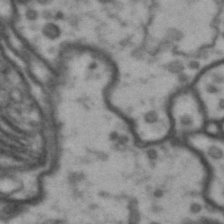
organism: Drosophila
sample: Brain